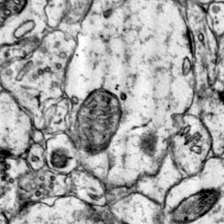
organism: Mouse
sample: Primary visual cortex